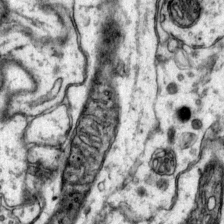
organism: Mouse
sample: Primary visual cortex